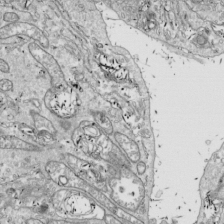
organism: Drosophila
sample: Cell division; meiosis; drosophila spermatocytes